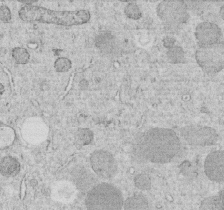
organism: C. elegans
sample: C. elegans embryo early stage